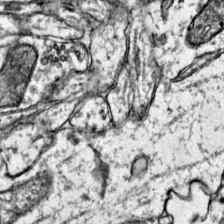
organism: Mouse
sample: Primary visual cortex